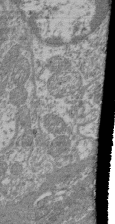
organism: Mouse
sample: Glomerulus